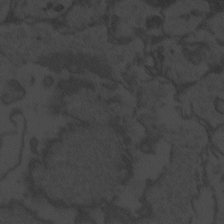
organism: Zebrafish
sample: Macrophage infected with Toxoplasma gondii